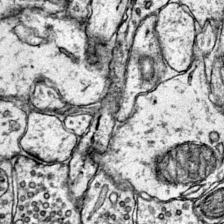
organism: Mouse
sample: Primary visual cortex